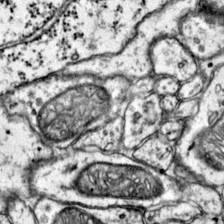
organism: Mouse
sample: Primary visual cortex